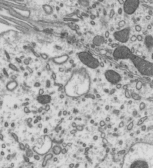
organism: Mouse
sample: Mouse epididymis efferent ductule cilia